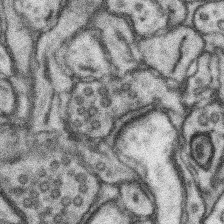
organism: Mouse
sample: Somatosensory cortex neuropil